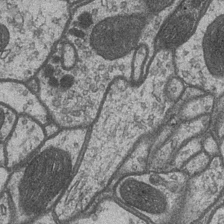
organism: Drosophila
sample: Optic medulla